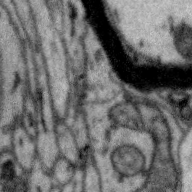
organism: Zebra finch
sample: Brain